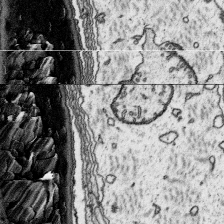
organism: Platynereis dumerilii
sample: Parapodia